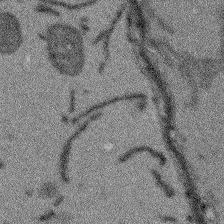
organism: Arabidopsis thaliana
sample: Root tip